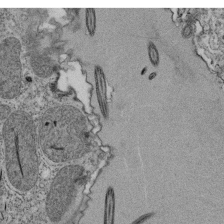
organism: Tetrahymena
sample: Cilia in tetrahymena